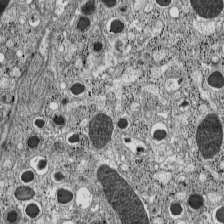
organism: C57BL Mouse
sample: Pancreatic islet